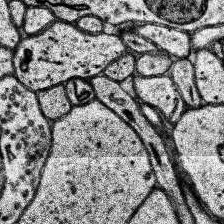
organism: Human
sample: Temporal Lobe